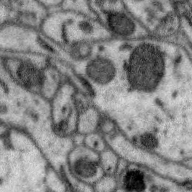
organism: Zebra finch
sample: Brain